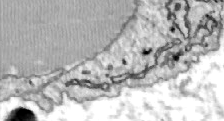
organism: Zebrafish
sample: Actinotrichia fibers